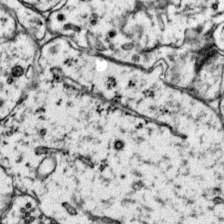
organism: Mouse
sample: Primary visual cortex